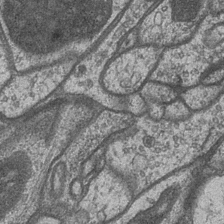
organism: Drosophila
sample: Optic medulla